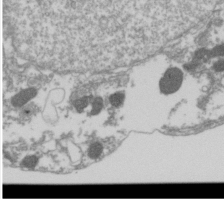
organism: Drosophila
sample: Cell division; meiosis; drosophila spermatocytes